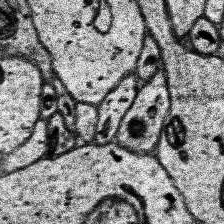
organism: Human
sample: Temporal Lobe